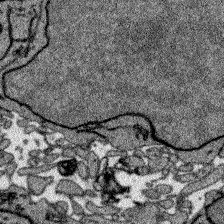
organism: Zebrafish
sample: Larval olfactory bulb